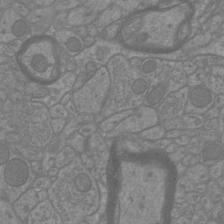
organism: Mouse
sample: Cortical neurons